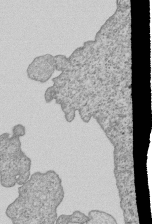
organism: Human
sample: MDA-MB-231 cells